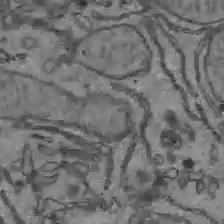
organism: C57BL Mouse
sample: Liver